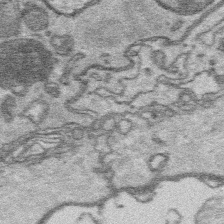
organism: Platynereis dumerilii